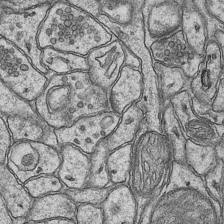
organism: Mouse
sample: CA1 Hippocampus